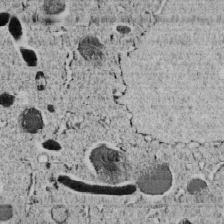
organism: C. elegans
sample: C. elegans embryo early stage